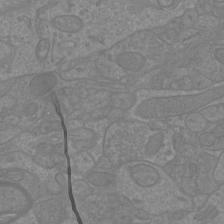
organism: Mouse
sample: Cortical neurons